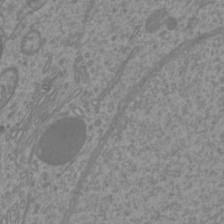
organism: Mouse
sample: Cortical neurons